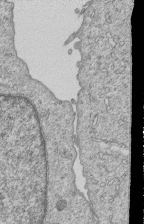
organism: Human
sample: MDA-MB-231 cells